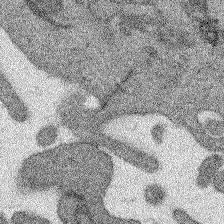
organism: Human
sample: HeLa cells